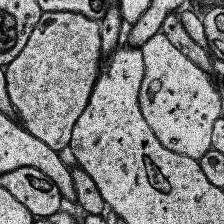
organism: Human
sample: Temporal Lobe